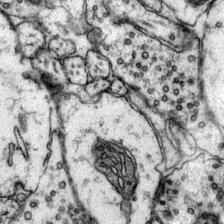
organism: Mouse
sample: Primary visual cortex